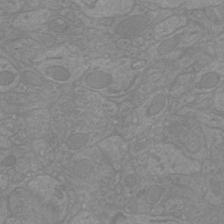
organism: Mouse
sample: Cortical neurons